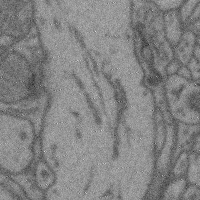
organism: Mouse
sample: Cerebral cortex